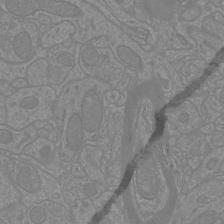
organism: Mouse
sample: Cortical neurons